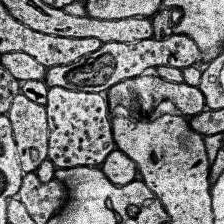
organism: Human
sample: Temporal Lobe